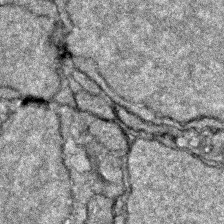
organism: Zebrafish